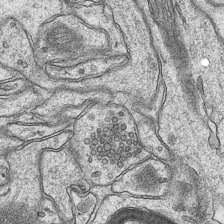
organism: Mouse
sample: CA1 Hippocampus